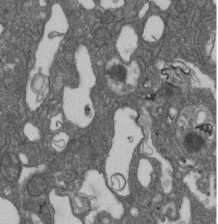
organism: Drosophila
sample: Nephrocyte